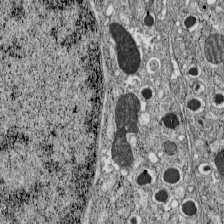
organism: C57BL Mouse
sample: Pancreatic islet